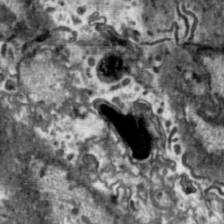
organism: Toxoplasma gondii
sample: Parasites in a vacuole inside a host cell